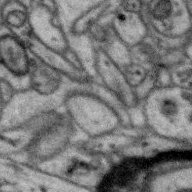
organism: Zebra finch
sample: Brain